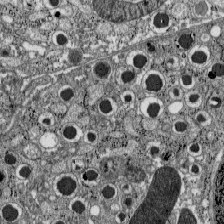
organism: C57BL Mouse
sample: Pancreatic islet